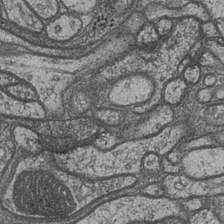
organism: Drosophila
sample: Optic medulla